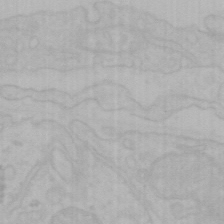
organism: Mouse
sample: Choroid plexus